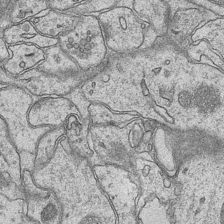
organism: Mouse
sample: CA1 Hippocampus